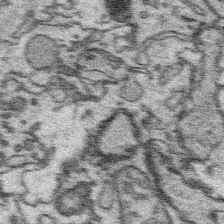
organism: Platynereis dumerilii